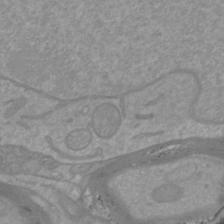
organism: Mouse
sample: Cortical neurons